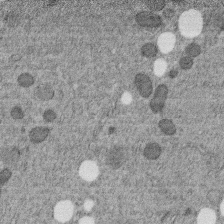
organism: C. elegans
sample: C. elegans embryo early stage